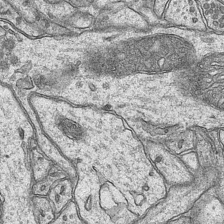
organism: Mouse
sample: CA1 Hippocampus